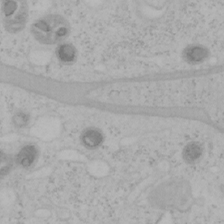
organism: Mouse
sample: OT-I killer T cells with ID8 ovarian cancer cells